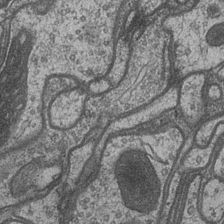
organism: Drosophila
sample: Optic medulla